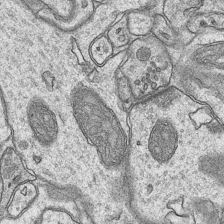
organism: Mouse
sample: CA1 Hippocampus